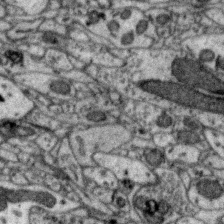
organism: Zebra finch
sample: Brain